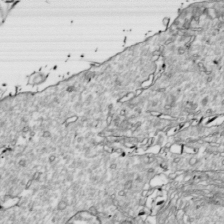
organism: Drosophila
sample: Cell division; meiosis; drosophila spermatocytes